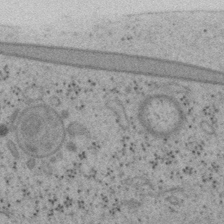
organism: Human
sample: HeLa cells